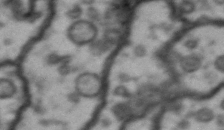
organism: Drosophila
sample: Brain